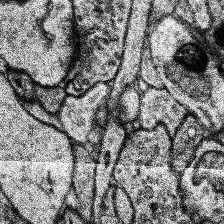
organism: Human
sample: Temporal Lobe